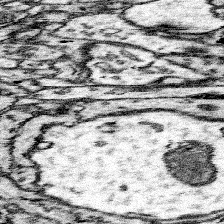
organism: Mouse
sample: Somatosensory cortex neuropil